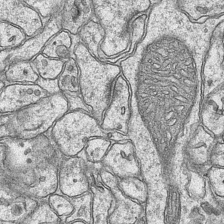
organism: Mouse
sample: CA1 Hippocampus